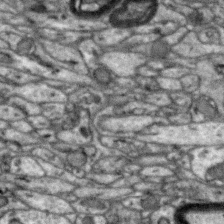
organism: Zebra finch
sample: Brain